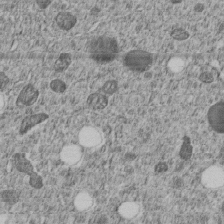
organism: C. elegans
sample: C. elegans embryo early stage